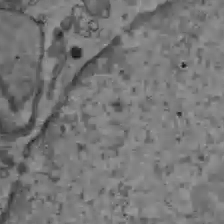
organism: C57BL Mouse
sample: Liver